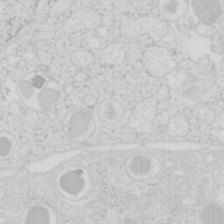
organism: Mouse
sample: Pancreas